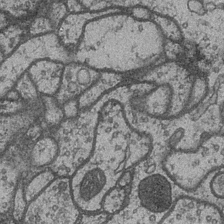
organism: Drosophila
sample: Optic medulla